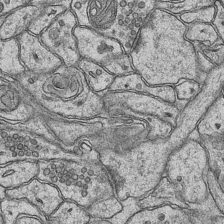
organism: Mouse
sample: CA1 Hippocampus